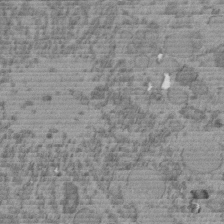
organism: C. elegans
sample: C. elegans embryo early stage